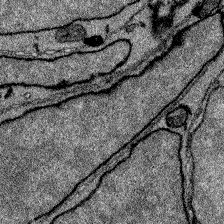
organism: Zebrafish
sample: Larval olfactory bulb